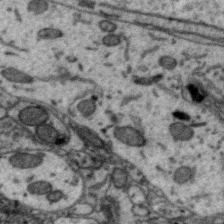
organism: Zebra finch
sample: Brain